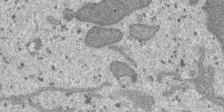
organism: Human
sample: Lung epithelial cells infected with SARS-CoV-2